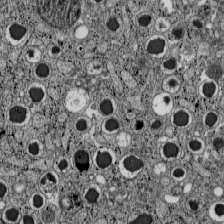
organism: C57BL Mouse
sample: Pancreatic islet